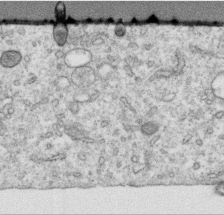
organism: Human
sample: Centriole in RPE cells